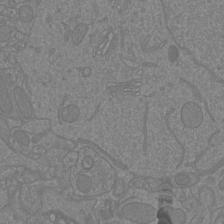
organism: Mouse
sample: Cortical neurons